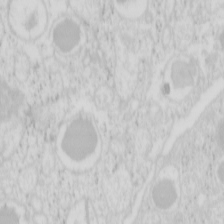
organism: Mouse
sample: Pancreas